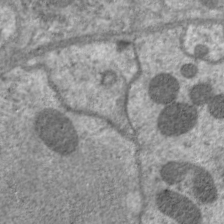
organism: C. elegans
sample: Pharynx